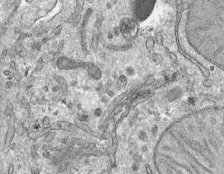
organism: Mouse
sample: Mouse hepatocytes